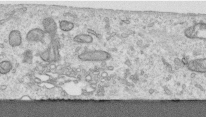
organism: Human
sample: Centriole in RPE cells